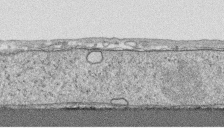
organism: Human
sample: CRL-1474